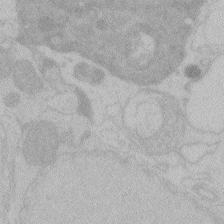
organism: Zebrafish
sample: Macrophage infected with Toxoplasma gondii